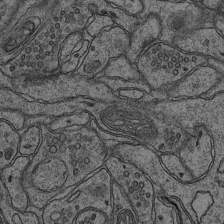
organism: Mouse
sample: CA1 Hippocampus